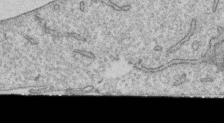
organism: Human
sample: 1205lu cells